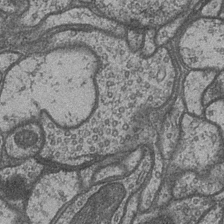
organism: Drosophila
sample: Optic medulla